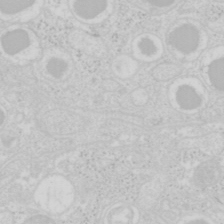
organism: Mouse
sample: Pancreas